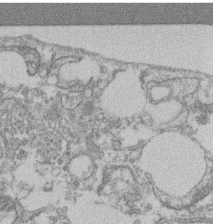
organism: Mouse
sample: T cell stromal cell synapse